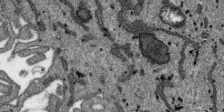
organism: Human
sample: Lung epithelial cells, uninfected (mock) control